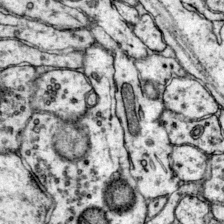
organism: Mouse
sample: Primary visual cortex